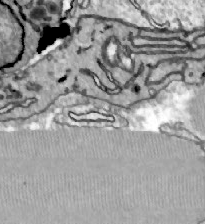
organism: Zebrafish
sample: Actinotrichia fibers